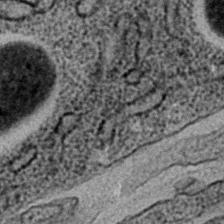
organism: C. elegans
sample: C. elegans embryo